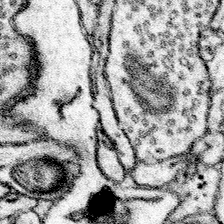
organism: Mouse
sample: Somatosensory cortex neuropil